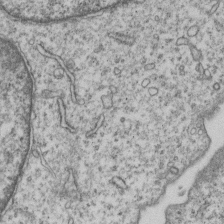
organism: Human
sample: MDA-MB-231 cells